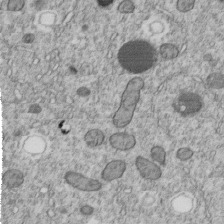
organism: C. elegans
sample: C. elegans embryo early stage